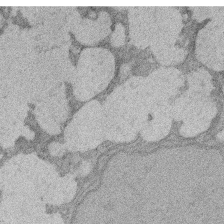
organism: Rat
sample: Salivary granule